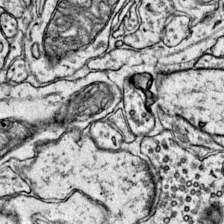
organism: Mouse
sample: Primary visual cortex